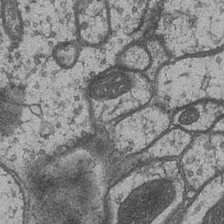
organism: Drosophila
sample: Optic medulla